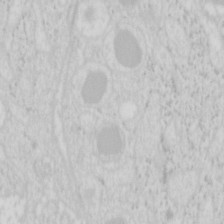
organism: Mouse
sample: Pancreas